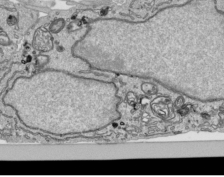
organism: Human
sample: Mitochondria in HCT116 cells